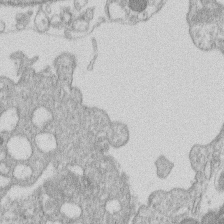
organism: Human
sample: Macrophage cells